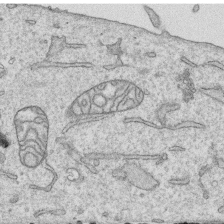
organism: Human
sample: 1205lu cells